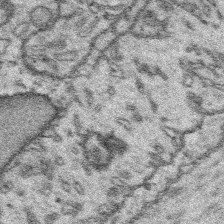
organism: Platynereis dumerilii